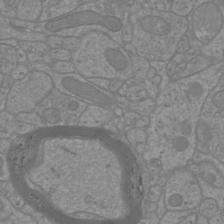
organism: Mouse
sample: Cortical neurons